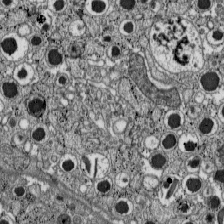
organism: C57BL Mouse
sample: Pancreatic islet